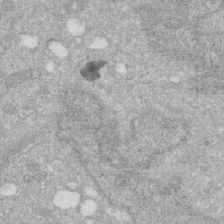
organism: Human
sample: HIV infected U937 cells